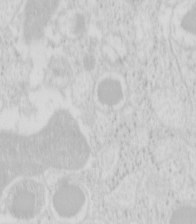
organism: Mouse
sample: Pancreas